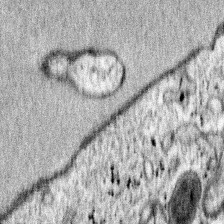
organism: Human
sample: HeLa cells